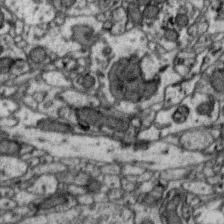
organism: Zebra finch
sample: Brain